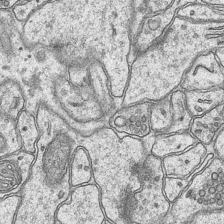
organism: Mouse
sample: CA1 Hippocampus